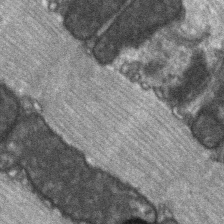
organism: C57BL Mouse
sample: Soleus